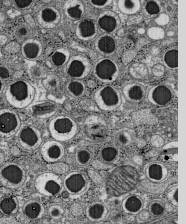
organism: C57BL Mouse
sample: Pancreatic islet